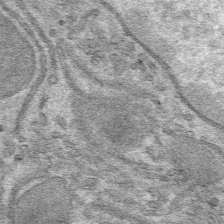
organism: Mouse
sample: Mouse hepatocytes